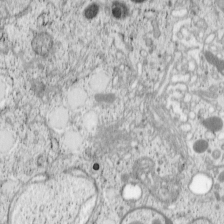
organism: African green monkey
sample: COS-7 cells